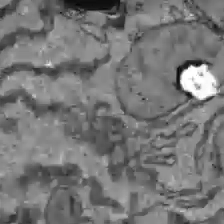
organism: C57BL Mouse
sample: Liver